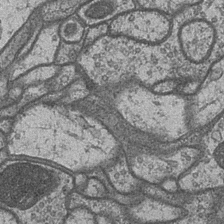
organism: Drosophila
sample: Optic medulla